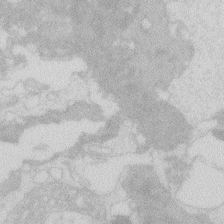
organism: Zebrafish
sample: Macrophage